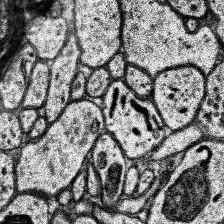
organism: Human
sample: Temporal Lobe